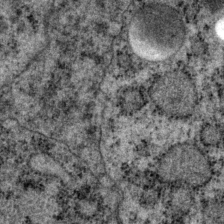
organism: P. pacificus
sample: Pharynx